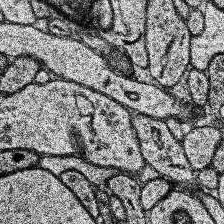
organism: Human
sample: Temporal Lobe